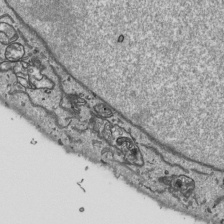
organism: Human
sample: Mitochondria in HCT116 cells